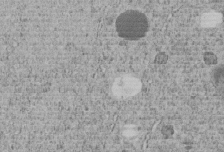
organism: C. elegans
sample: C. elegans embryo early stage